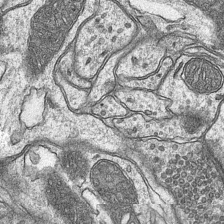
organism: Mouse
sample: CA1 Hippocampus